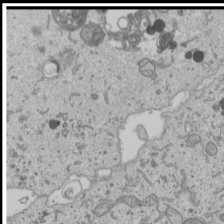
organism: Human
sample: Mitochondria in U2OS cells